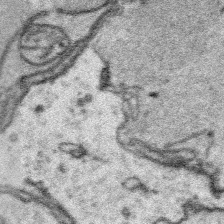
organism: Platynereis dumerilii